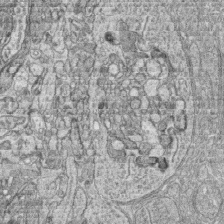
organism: Zebrafish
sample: synaptic ribbons in rod cells and cone cells